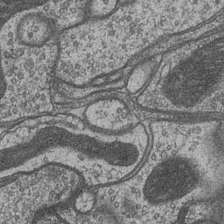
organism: Drosophila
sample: Optic medulla